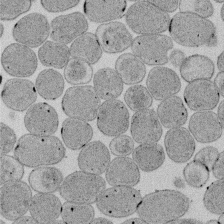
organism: E. coli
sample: Bacterial nucleoid